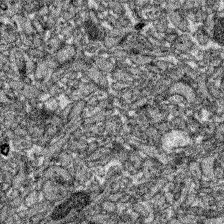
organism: Zebrafish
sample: Larval olfactory bulb